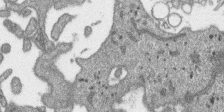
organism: Human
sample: Lung epithelial cells infected with SARS-CoV-2